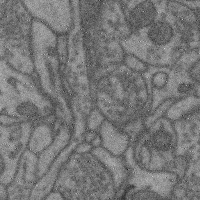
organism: Mouse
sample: Cerebral cortex